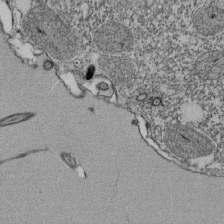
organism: Tetrahymena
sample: Cilia in tetrahymena